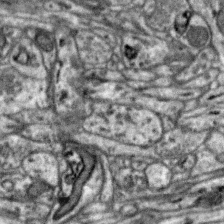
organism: Zebra finch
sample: Brain